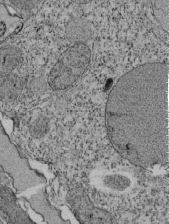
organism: Tetrahymena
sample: Cilia in tetrahymena